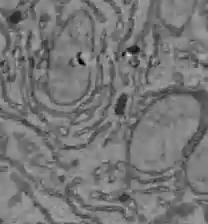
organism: C57BL Mouse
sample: Liver